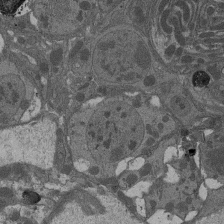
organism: Drosophila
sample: Antenna